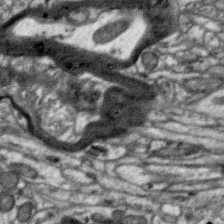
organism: Zebra finch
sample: Brain